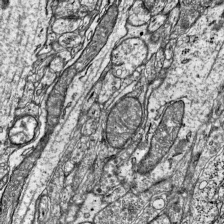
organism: Mouse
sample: Visual Cortex